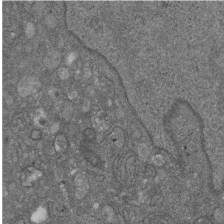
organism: Drosophila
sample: Nephrocyte